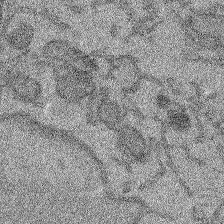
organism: Human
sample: HeLa cells